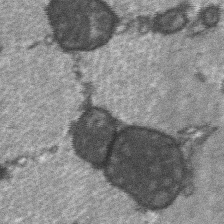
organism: C57BL Mouse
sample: Soleus